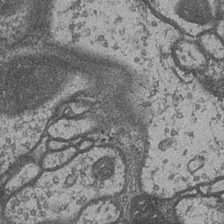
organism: Drosophila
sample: Optic medulla